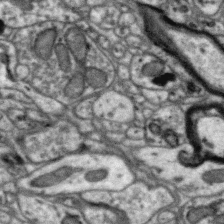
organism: Zebra finch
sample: Brain